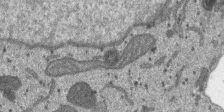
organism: Human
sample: Lung epithelial cells infected with SARS-CoV-2